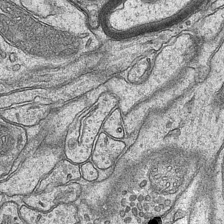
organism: Mouse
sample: CA1 Hippocampus